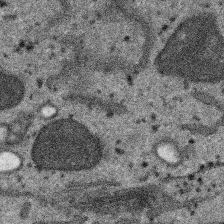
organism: Human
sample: Lung epithelial cells infected with SARS-CoV-2